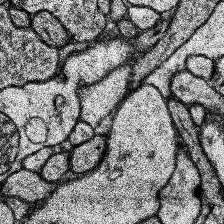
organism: Human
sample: Temporal Lobe